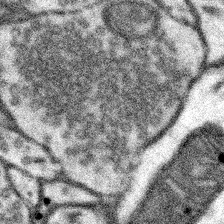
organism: Mouse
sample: Somatosensory cortex neuropil